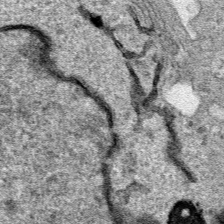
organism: Human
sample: Mitochondria in HCT116 cells